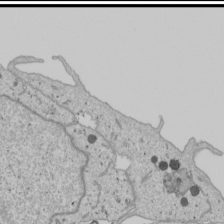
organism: Human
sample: Mitochondria in U2OS cells